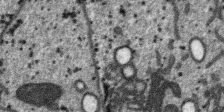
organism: Human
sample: Lung epithelial cells infected with SARS-CoV-2